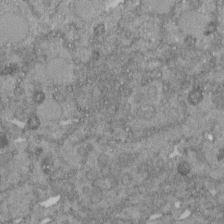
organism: C. elegans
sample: C. elegans embryo early stage